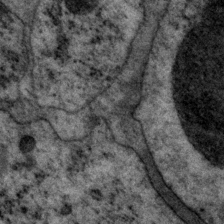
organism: P. pacificus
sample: Pharynx